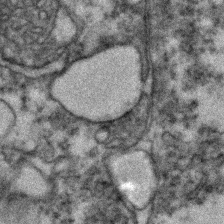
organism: Zebrafish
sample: Zebrafish embryo